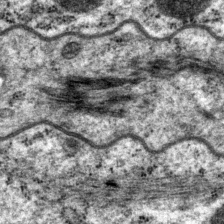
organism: P. pacificus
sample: Pharynx